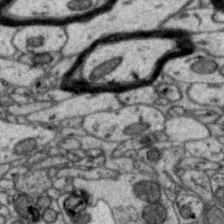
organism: Zebra finch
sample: Brain